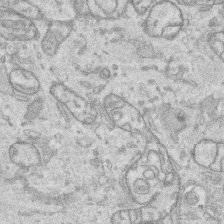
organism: Human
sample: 1205lu cells